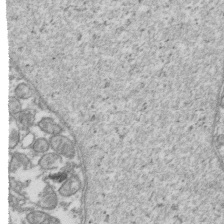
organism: Human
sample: Activated Jurkat CD4+ T cells